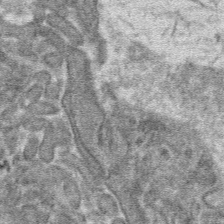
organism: Mouse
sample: Mouse hepatocytes